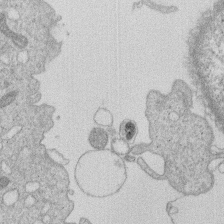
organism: Human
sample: Macrophage cells